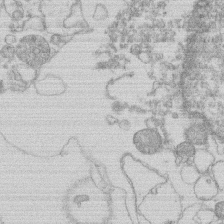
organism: Human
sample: Macrophage cells